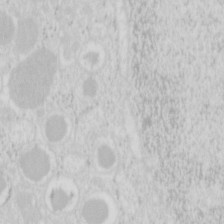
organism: Mouse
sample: Pancreas